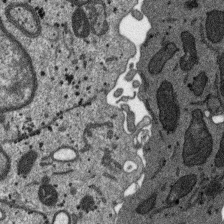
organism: Human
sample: Lung epithelial cells infected with SARS-CoV-2